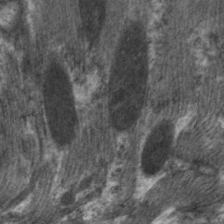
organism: C. elegans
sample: Pharynx